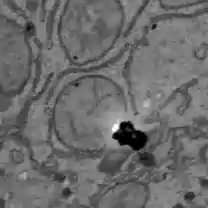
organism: C57BL Mouse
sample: Liver